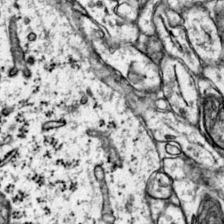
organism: Mouse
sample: Primary visual cortex